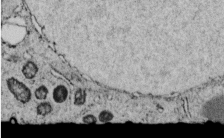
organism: C. elegans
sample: C. elegans embryo early stage